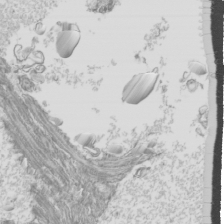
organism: Mouse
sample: Cilia; mouse epididymis